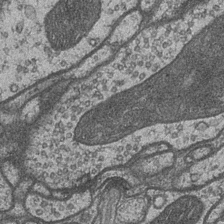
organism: Drosophila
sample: Optic medulla